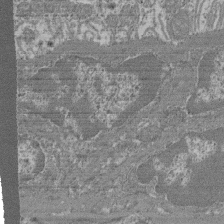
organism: Mouse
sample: Glomerulus